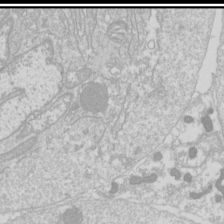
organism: Drosophila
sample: Cell division; meiosis; drosophila spermatocytes